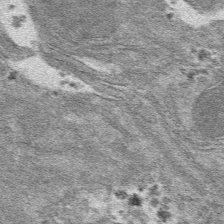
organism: Mouse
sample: Mouse hepatocytes